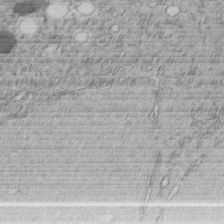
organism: C. elegans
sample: C. elegans embryo early stage